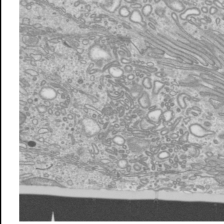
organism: Mouse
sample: Cilia; mouse epididymis